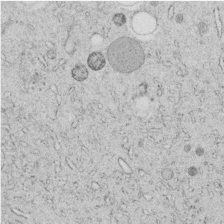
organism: C. elegans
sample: C. elegans embryo early stage